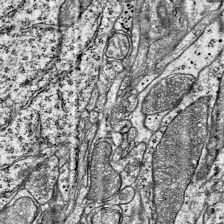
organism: Mouse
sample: Visual Cortex